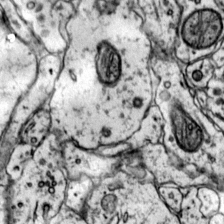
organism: Mouse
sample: Primary visual cortex